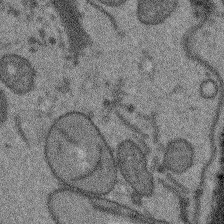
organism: Arabidopsis thaliana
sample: Root tip